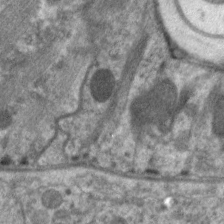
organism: C. elegans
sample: Pharynx